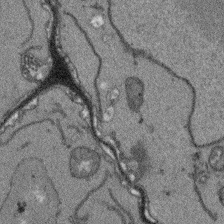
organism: Arabidopsis thaliana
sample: Root tip